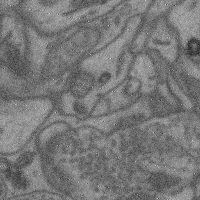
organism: Mouse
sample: Cerebral cortex